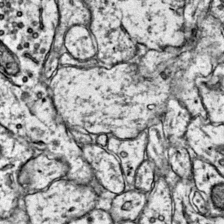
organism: Mouse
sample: Primary visual cortex